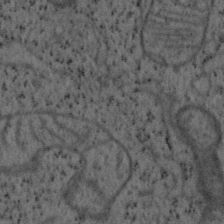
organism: Human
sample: HeLa cells